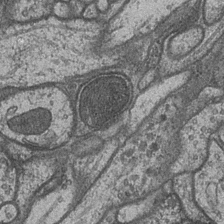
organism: Drosophila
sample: Optic medulla